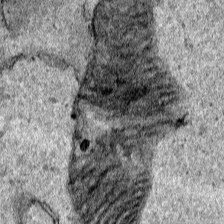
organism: Human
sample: Mitochondria in HCT116 cells